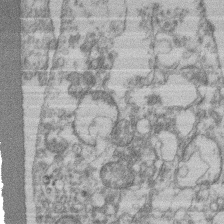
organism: Mouse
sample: T cell stromal cell synapse